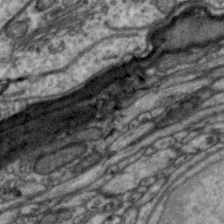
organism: Zebra finch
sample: Brain